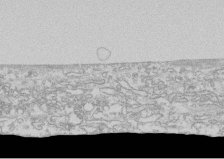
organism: Human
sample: CRL-1474